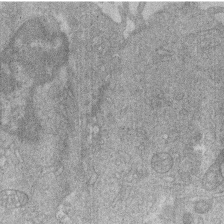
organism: Human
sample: Macrophage cells